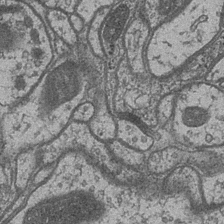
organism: Drosophila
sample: Optic medulla